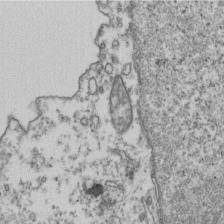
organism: Human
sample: Activated Jurkat CD4+ T cells